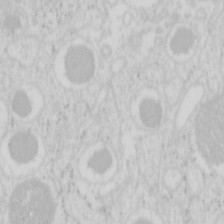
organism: Mouse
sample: Pancreas